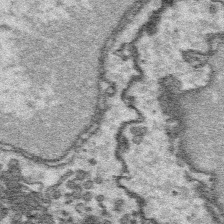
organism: Platynereis dumerilii